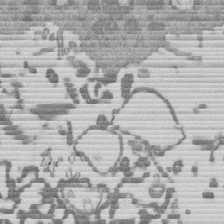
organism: Mouse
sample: Dividing mouse embryo 1 cell stage